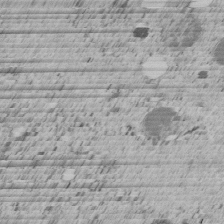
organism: C. elegans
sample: C. elegans embryo early stage